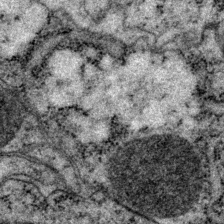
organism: P. pacificus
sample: Pharynx